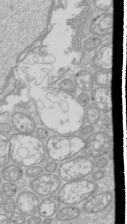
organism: Drosophila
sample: Cell division; meiosis; drosophila spermatocytes